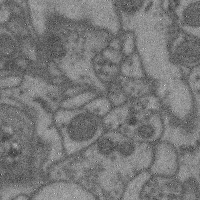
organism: Mouse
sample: Cerebral cortex